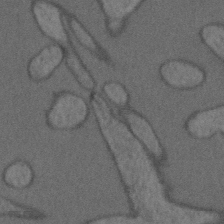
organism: Human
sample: HeLa cells